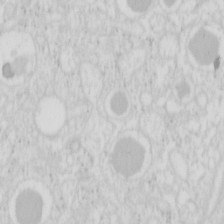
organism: Mouse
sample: Pancreas